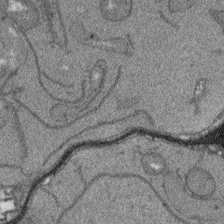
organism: Arabidopsis thaliana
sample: Root tip